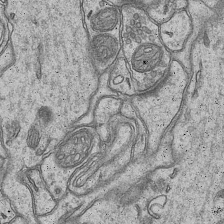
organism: Mouse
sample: CA1 Hippocampus